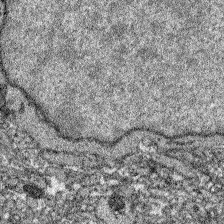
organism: Zebrafish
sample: Larval olfactory bulb